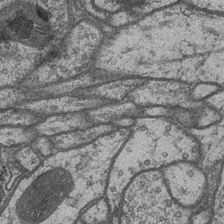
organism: Drosophila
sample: Optic medulla